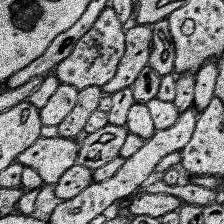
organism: Human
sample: Temporal Lobe